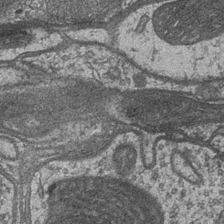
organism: Drosophila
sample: Optic medulla